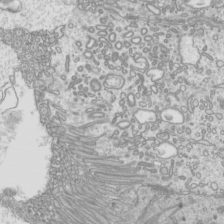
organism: Mouse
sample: Cilia; mouse epididymis